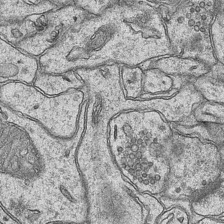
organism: Mouse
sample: CA1 Hippocampus